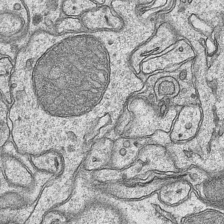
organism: Mouse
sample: CA1 Hippocampus